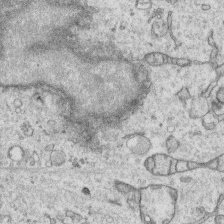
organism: Human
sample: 1205lu cells